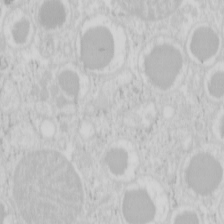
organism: Mouse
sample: Pancreas